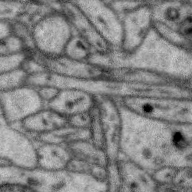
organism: Zebra finch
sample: Brain